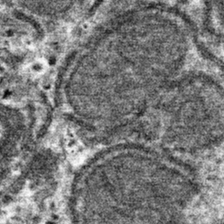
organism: Mouse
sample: Mouse hepatocytes